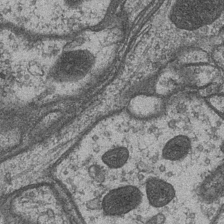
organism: Drosophila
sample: Optic medulla